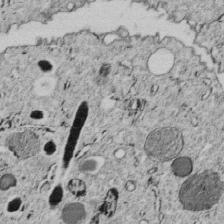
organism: C. elegans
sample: C. elegans embryo early stage